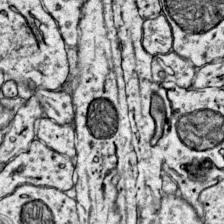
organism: Mouse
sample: Primary visual cortex